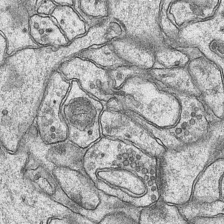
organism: Mouse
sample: CA1 Hippocampus